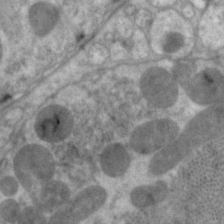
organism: C. elegans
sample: Pharynx